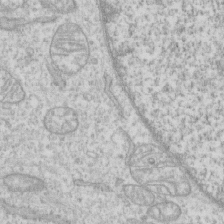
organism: Human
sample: CRL-1474